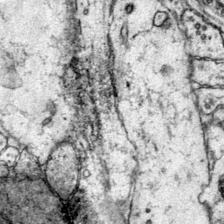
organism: Mouse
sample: Primary visual cortex